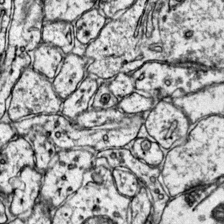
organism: Mouse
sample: Primary visual cortex